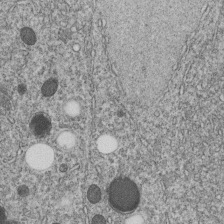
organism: C. elegans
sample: C. elegans embryo early stage